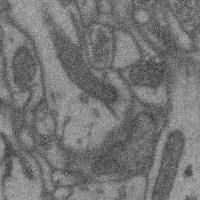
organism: Mouse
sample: Cerebral cortex